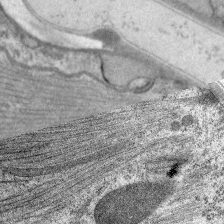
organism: C. elegans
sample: Pharynx